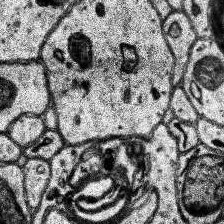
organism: Human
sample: Temporal Lobe